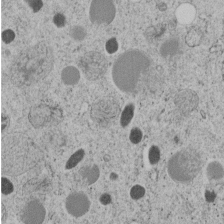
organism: C. elegans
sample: C. elegans embryo early stage